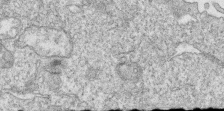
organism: Human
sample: HeLa cell HIV synapse